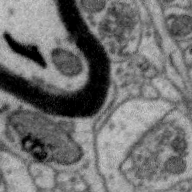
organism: Zebra finch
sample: Brain